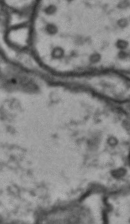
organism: Drosophila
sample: Brain